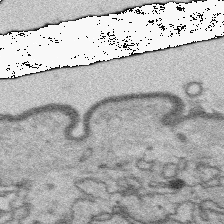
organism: Platynereis dumerilii